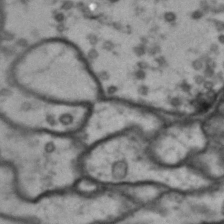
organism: Drosophila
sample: Brain